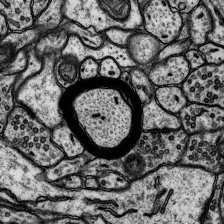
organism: Rat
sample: Hippocampus